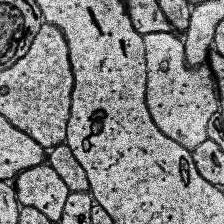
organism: Human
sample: Temporal Lobe